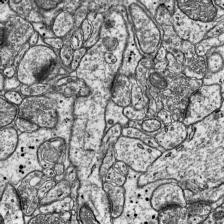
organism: Mouse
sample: Visual Cortex